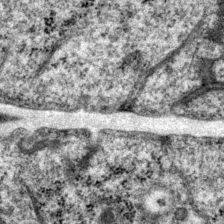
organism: P. pacificus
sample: Pharynx